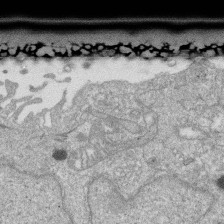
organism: Human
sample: HeLa cell HIV synapse